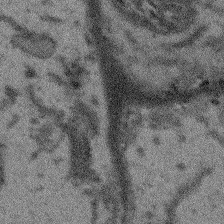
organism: Arabidopsis thaliana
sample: Root tip